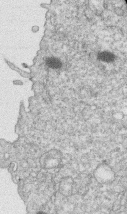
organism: Human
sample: HeLa cell HIV synapse